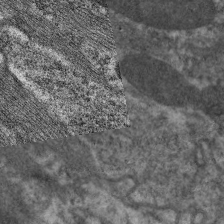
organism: C. elegans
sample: Pharynx